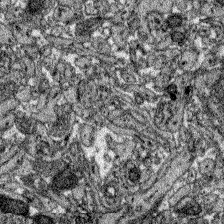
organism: Zebrafish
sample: Larval olfactory bulb